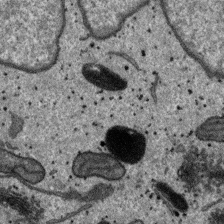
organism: Human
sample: Lung epithelial cells, uninfected (mock) control